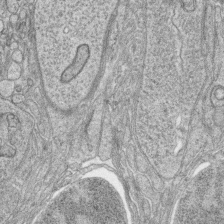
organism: Zebrafish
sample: synaptic ribbons in rod cells and cone cells